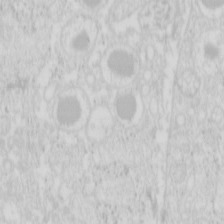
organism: Mouse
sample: Pancreas